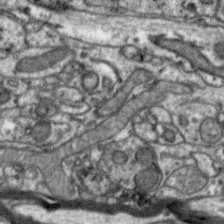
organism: Zebra finch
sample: Brain